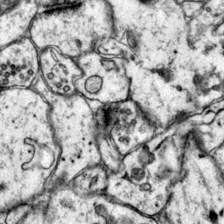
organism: Mouse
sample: Primary visual cortex